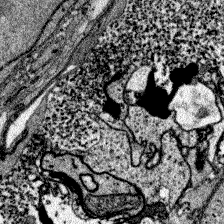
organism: Zebrafish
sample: Larval olfactory bulb